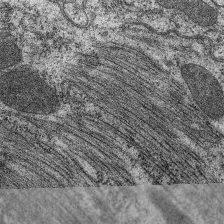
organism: C. elegans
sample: Pharynx